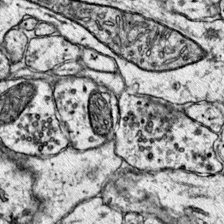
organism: Mouse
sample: Primary visual cortex